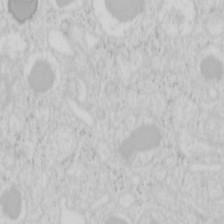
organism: Mouse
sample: Pancreas